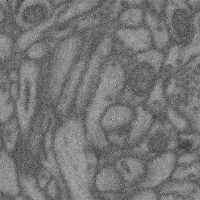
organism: Mouse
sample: Cerebral cortex